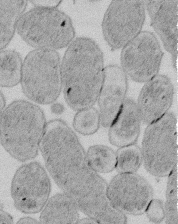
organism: E. coli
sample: Bacterial nucleoid